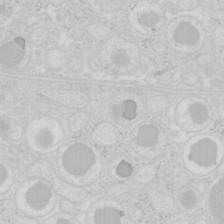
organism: Mouse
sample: Pancreas